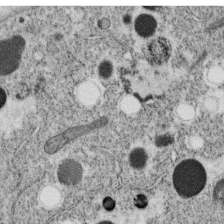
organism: C. elegans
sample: C. elegans oocyte; sperm cells